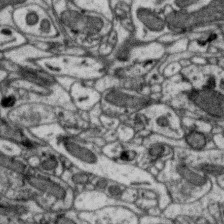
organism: Zebra finch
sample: Brain